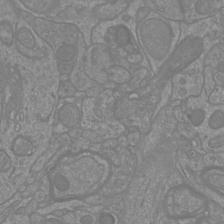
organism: Mouse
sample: Cortical neurons